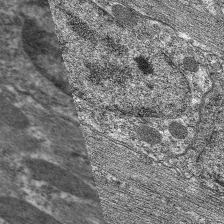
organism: C. elegans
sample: Pharynx